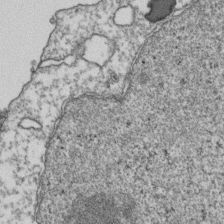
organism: Human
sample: Activated Jurkat CD4+ T cells